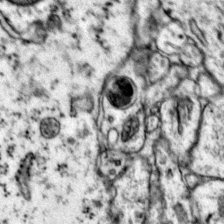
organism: Mouse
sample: Primary visual cortex